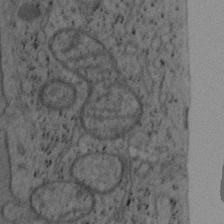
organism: Human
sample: HeLa cells